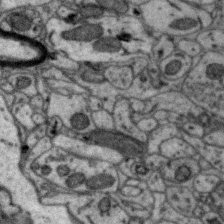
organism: Zebra finch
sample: Brain